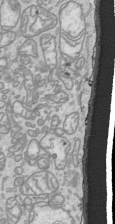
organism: Human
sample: Mitochondria in HCT116 cells